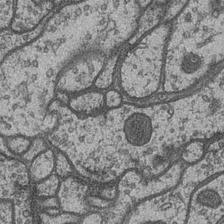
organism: Drosophila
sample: Optic medulla